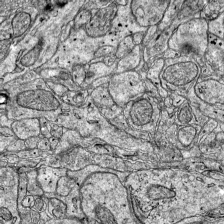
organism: Mouse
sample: Visual Cortex